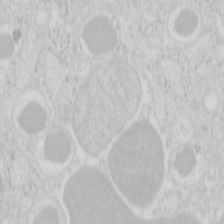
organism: Mouse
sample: Pancreas